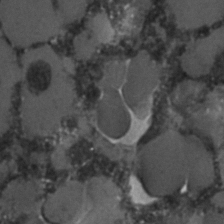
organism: C. elegans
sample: C. elegans embryo